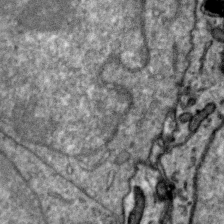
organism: Zebra finch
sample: Brain